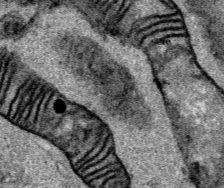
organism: Human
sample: Mitochondria in HCT116 cells